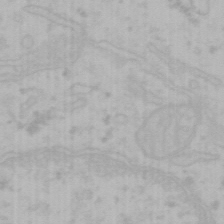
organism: Mouse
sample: Choroid plexus